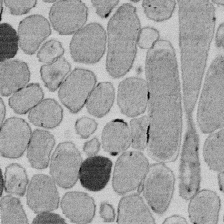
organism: E. coli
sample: Bacterial nucleoid